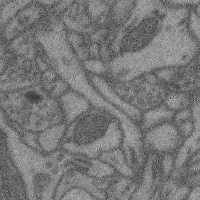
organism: Mouse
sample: Cerebral cortex